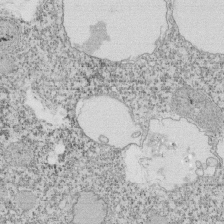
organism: Tetrahymena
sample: Cilia in tetrahymena